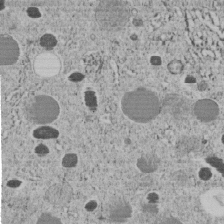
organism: C. elegans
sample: C. elegans embryo early stage